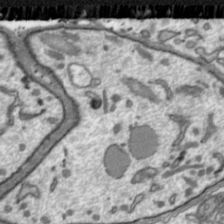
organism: Toxoplasma gondii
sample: Parasites in a vacuole inside a host cell